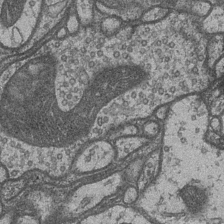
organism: Drosophila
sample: Optic medulla